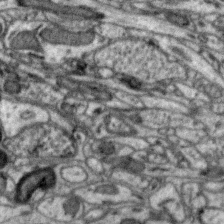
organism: Zebra finch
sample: Brain